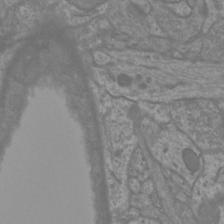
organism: Mouse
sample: Cortical neurons